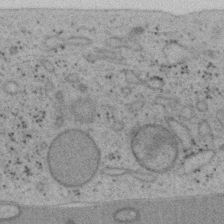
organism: Human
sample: HeLa cells